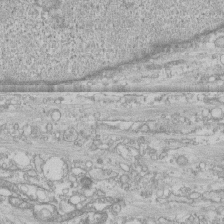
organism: Human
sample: CRL-1474